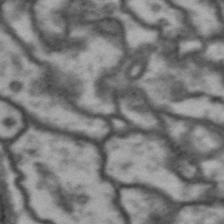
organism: Drosophila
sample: Brain